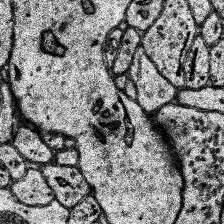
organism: Human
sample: Temporal Lobe